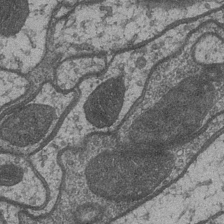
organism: Drosophila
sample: Optic medulla